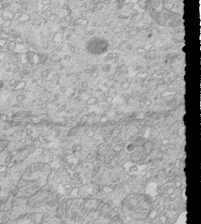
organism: Mouse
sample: Multiciliated cells